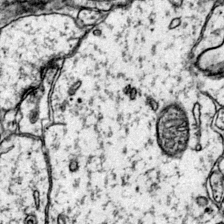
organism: Mouse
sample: Primary visual cortex